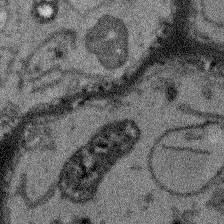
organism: Arabidopsis thaliana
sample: Root tip